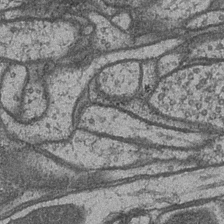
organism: Drosophila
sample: Optic medulla